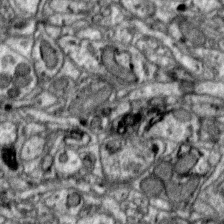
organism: Zebra finch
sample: Brain